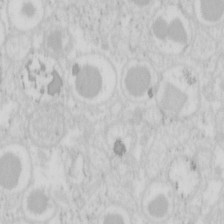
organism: Mouse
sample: Pancreas